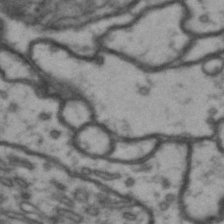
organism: Drosophila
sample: Brain